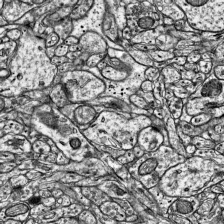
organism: Mouse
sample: Visual Cortex